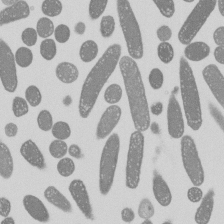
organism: E. coli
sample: Bacterial nucleoid